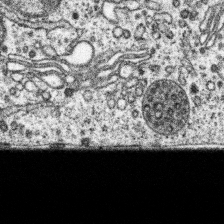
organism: Human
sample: HeLa cells